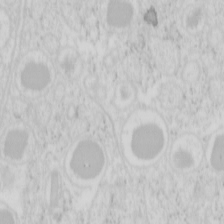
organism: Mouse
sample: Pancreas